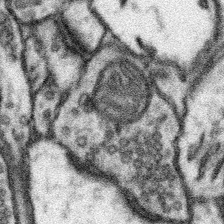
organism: Mouse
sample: Somatosensory cortex neuropil